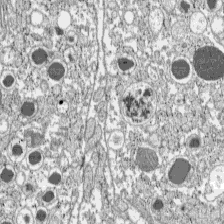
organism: C57BL Mouse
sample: Pancreatic islet